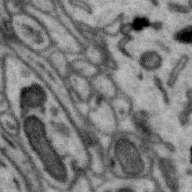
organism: Zebra finch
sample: Brain